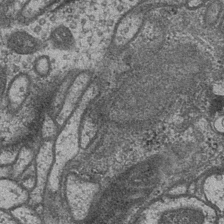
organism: Drosophila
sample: Optic medulla